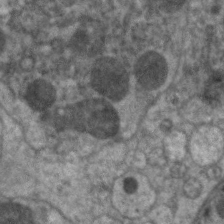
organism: C. elegans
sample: Pharynx